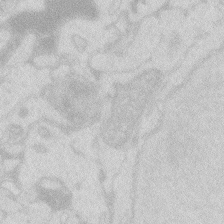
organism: Zebrafish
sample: Macrophage